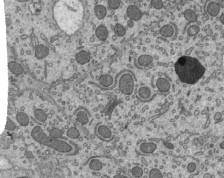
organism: Mouse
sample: Mouse epididymis efferent ductule cilia